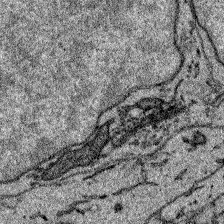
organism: Zebrafish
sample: Larval olfactory bulb